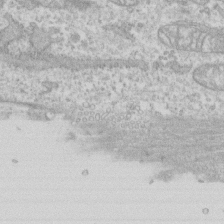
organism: Human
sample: CRL-1474